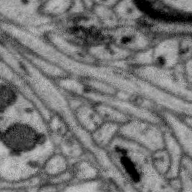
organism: Zebra finch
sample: Brain